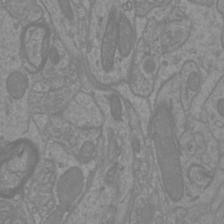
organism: Mouse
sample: Cortical neurons